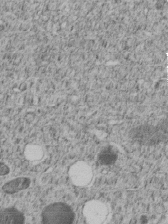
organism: C. elegans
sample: C. elegans embryo early stage